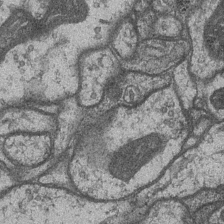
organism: Drosophila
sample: Optic medulla